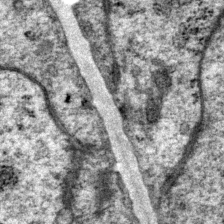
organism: P. pacificus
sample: Pharynx